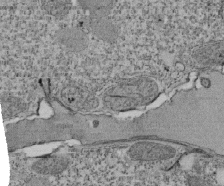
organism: Tetrahymena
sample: Cilia in tetrahymena